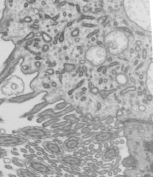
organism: Mouse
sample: Mouse epididymis efferent ductule cilia